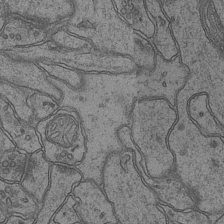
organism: Mouse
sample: CA1 Hippocampus